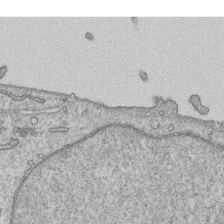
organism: Human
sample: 1205lu cells